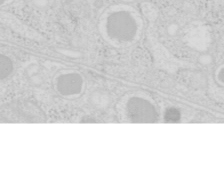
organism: Mouse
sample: Pancreas